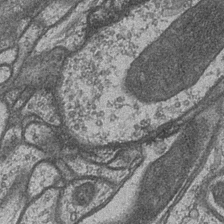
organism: Drosophila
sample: Optic medulla